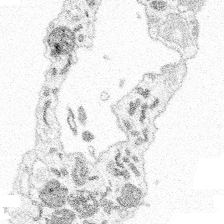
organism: Spongilla lacustris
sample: Multiple